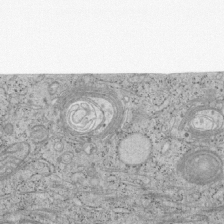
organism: Human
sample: HeLa cells